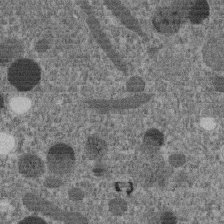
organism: C. elegans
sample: C. elegans embryo early stage